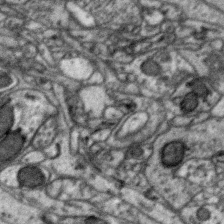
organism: Zebra finch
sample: Brain